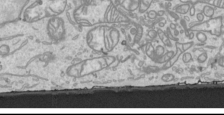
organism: Human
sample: Mitochondria in HCT116 cells